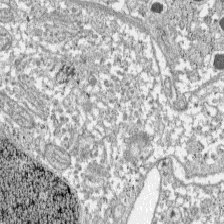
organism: C57BL Mouse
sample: Pancreatic islet